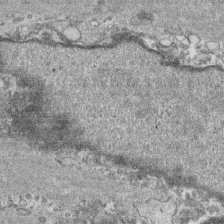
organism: Human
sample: CRL-1474